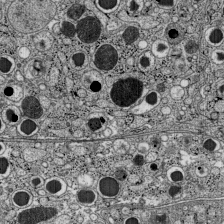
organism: C57BL Mouse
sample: Pancreatic islet